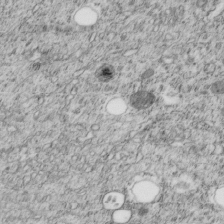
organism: C. elegans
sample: C. elegans embryo early stage